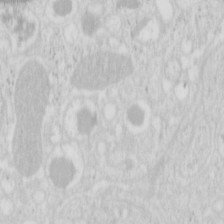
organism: Mouse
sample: Pancreas